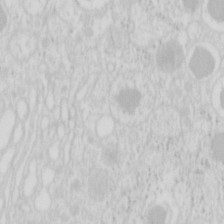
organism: Mouse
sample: Pancreas